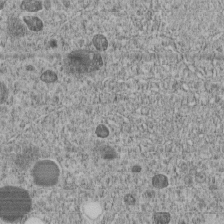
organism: C. elegans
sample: C. elegans embryo early stage